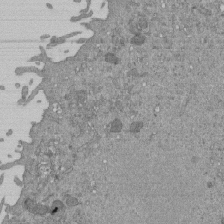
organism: Mouse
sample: ED-1 cell nuclei; centrioles